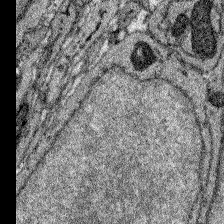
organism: Zebrafish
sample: Larval olfactory bulb